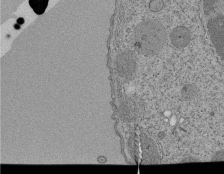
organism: Tetrahymena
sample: Cilia in tetrahymena